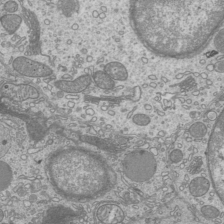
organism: Mouse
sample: Cilia; mouse epididymis